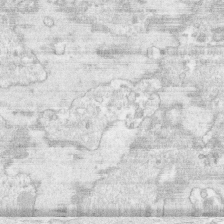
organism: Human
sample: CRL-1474